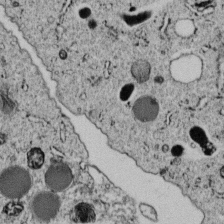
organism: C. elegans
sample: C. elegans embryo early stage